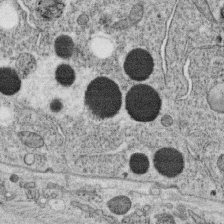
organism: C. elegans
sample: C. elegans oocyte; sperm cells